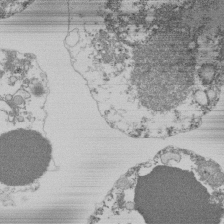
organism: Mouse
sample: Activated Pmel transgenic CD8+ T Cells